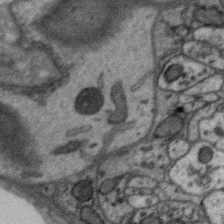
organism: Zebra finch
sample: Brain